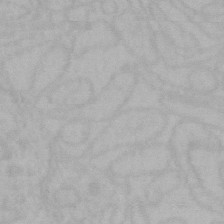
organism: Mouse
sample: Choroid plexus